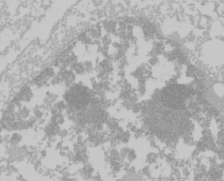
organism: Mouse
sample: Cancer cell death in ED-1 cells